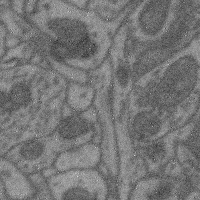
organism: Mouse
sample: Cerebral cortex